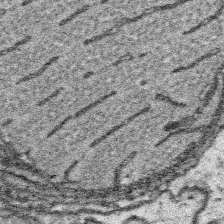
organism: Platynereis dumerilii